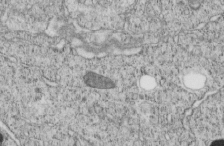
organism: C. elegans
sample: C. elegans embryo early stage